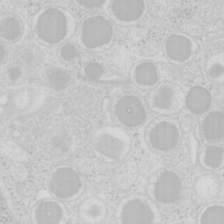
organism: Mouse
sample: Pancreas